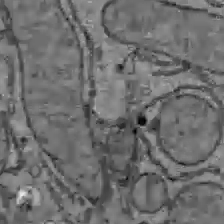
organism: C57BL Mouse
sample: Liver